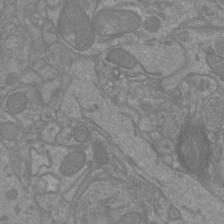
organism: Mouse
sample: Cortical neurons